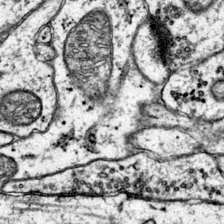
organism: Mouse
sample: Primary visual cortex